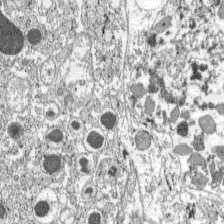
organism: C57BL Mouse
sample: Pancreatic islet